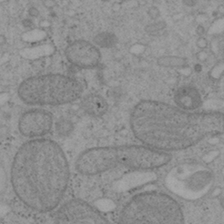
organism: Mouse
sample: OT-I killer T cells with ID8 ovarian cancer cells